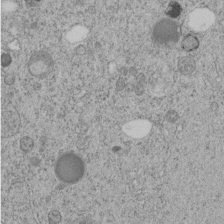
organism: C. elegans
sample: C. elegans embryo early stage